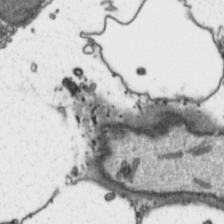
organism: Toxoplasma gondii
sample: Parasites in a vacuole inside a host cell